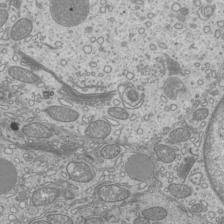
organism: Mouse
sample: Cilia; mouse epididymis